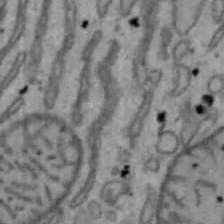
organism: Mouse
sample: Liver